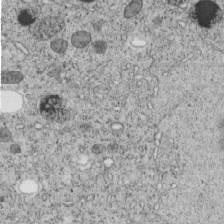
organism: C. elegans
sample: C. elegans embryo early stage